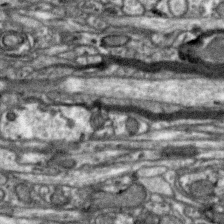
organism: Zebra finch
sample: Brain